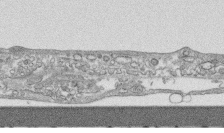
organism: Human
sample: CRL-1474